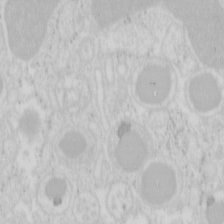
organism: Mouse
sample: Pancreas